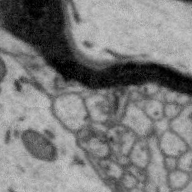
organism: Zebra finch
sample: Brain